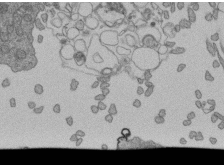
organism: Human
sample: Retinal organoid Rod and Cone cells